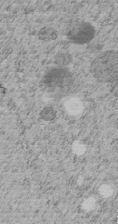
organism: C. elegans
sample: C. elegans embryo early stage